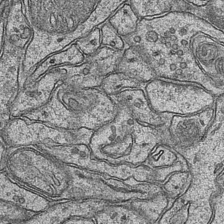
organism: Mouse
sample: CA1 Hippocampus